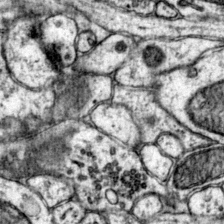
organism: Mouse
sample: Primary visual cortex